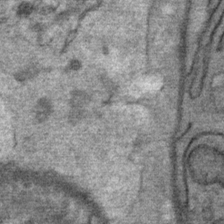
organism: Mouse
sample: Mouse Salivary gland